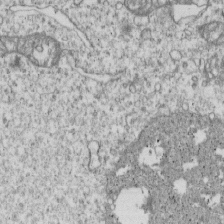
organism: Human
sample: MDA-MB-231 cells